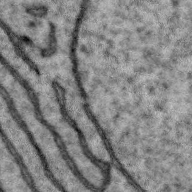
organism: Zebra finch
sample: Brain